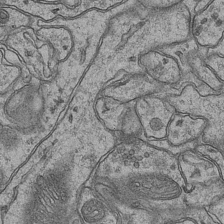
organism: Mouse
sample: CA1 Hippocampus